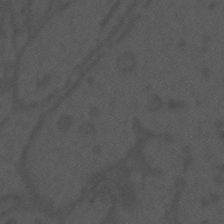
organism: Mouse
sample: Suprachiasmatic nucleus